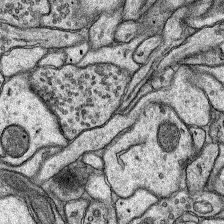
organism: Rat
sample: Hippocampus